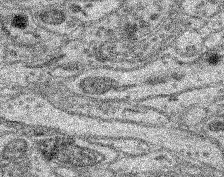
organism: Mouse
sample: Retina